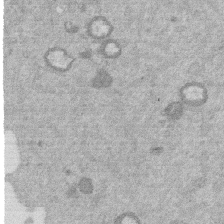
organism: Mouse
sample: Dividing mouse embryo 1 cell stage